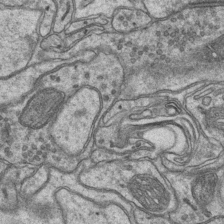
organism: Mouse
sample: CA1 Hippocampus